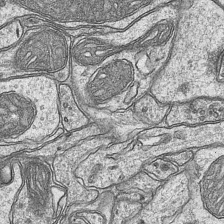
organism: Mouse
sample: CA1 Hippocampus